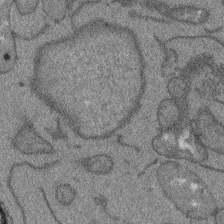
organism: Arabidopsis thaliana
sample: Root tip